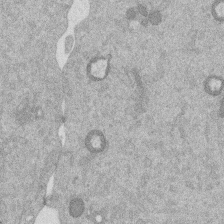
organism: Mouse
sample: Dividing mouse embryo 1 cell stage